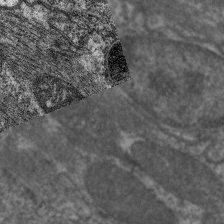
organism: C. elegans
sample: Pharynx